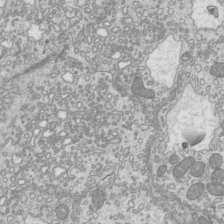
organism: Mouse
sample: Cilia; mouse epididymis